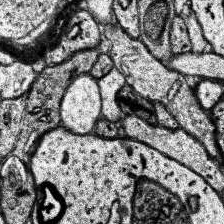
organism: Human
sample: Temporal Lobe